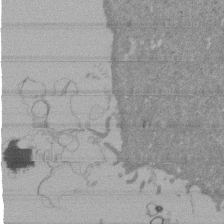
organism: Mouse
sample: ED-1 cell nuclei; centrioles